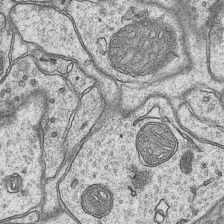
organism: Mouse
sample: CA1 Hippocampus